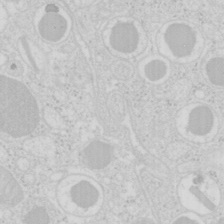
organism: Mouse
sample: Pancreas